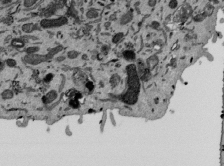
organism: Mouse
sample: ED-1 cell nuclei; centrioles